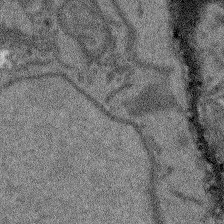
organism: Arabidopsis thaliana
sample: Root tip